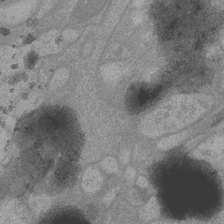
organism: Drosophila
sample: Optic medulla